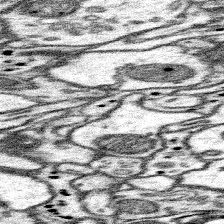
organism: Mouse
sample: Somatosensory cortex neuropil